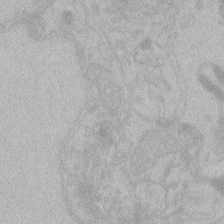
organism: Zebrafish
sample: Macrophage infected with Toxoplasma gondii